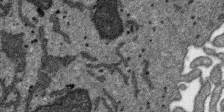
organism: Human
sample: Lung epithelial cells infected with SARS-CoV-2